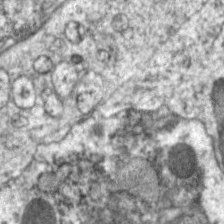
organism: C. elegans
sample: Pharynx